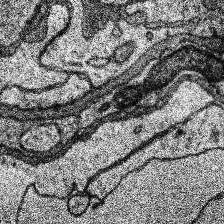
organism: Human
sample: Temporal Lobe